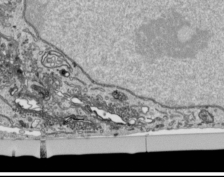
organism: Human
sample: Mitochondria in HCT116 cells